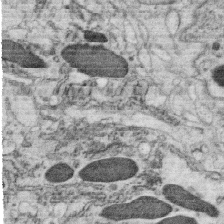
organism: C. elegans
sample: C. elegans oocyte; sperm cells